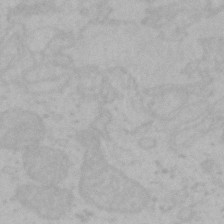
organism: Mouse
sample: Choroid plexus